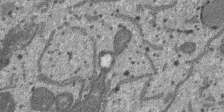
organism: Human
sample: Lung epithelial cells infected with SARS-CoV-2